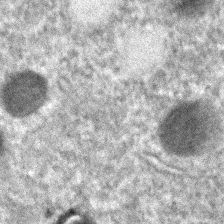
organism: C. elegans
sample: C. elegans embryo